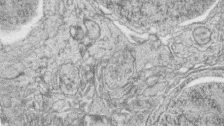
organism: Zebrafish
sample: synaptic ribbons in rod cells and cone cells